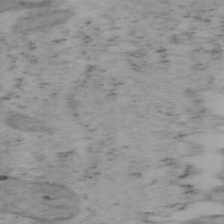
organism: Mouse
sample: OT-I killer T cells with ID8 ovarian cancer cells